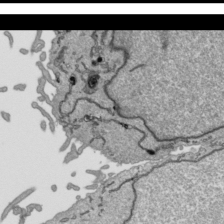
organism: Human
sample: Mitochondria in HCT116 cells